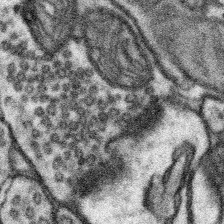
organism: Mouse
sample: Somatosensory cortex neuropil